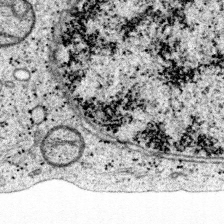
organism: Human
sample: HeLa cells